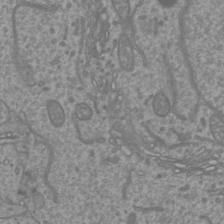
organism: Mouse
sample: Cortical neurons